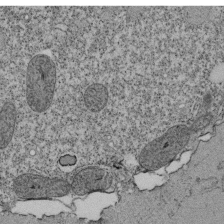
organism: Tetrahymena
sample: Cilia in tetrahymena